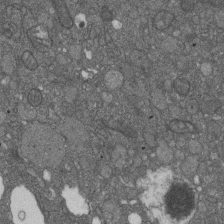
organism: Drosophila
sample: Nephrocyte